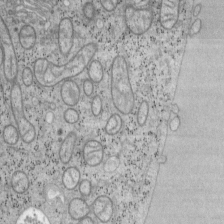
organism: Mouse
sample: OT-I killer T cells with ID8 ovarian cancer cells